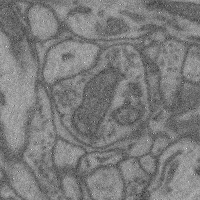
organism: Mouse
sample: Cerebral cortex